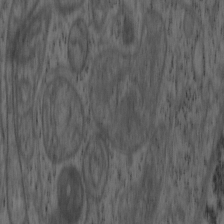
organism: Human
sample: HeLa cells